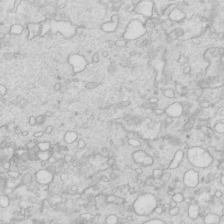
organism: Mouse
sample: Multiciliated cells